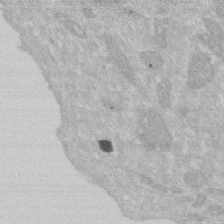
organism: Human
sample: HIV infected U937 cells